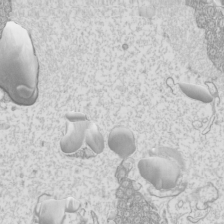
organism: Mouse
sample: Cilia; mouse epididymis